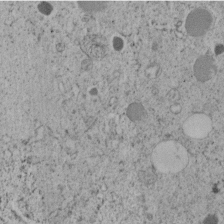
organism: C. elegans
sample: C. elegans embryo early stage